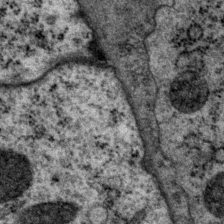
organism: P. pacificus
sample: Pharynx